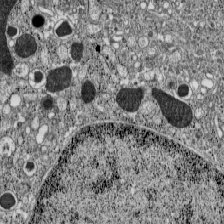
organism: C57BL Mouse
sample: Pancreatic islet